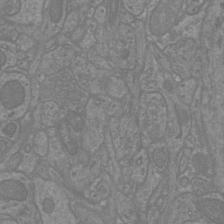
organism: Mouse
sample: Cortical neurons